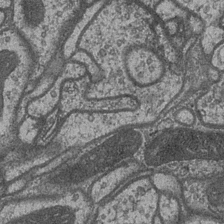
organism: Drosophila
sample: Optic medulla